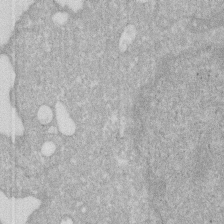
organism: Human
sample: HIV infected U937 cells